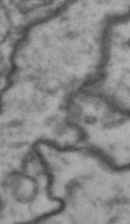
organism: Drosophila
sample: Brain